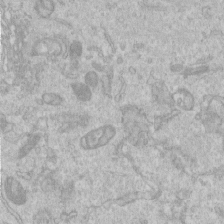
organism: Human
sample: Centriole in RPE cells